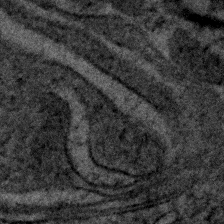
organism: Human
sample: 1205lu cells